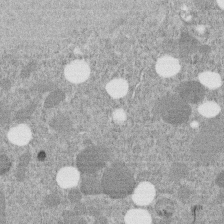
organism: C. elegans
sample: C. elegans embryo early stage